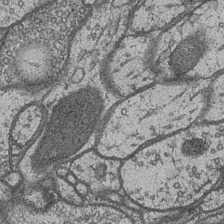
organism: Drosophila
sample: Optic medulla